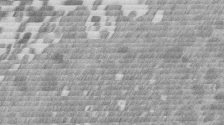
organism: Mouse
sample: Dividing mouse embryo 1 cell stage